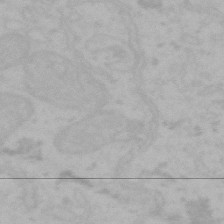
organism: Mouse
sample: Choroid plexus